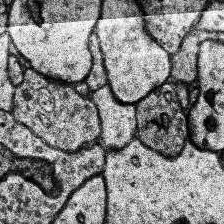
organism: Human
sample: Temporal Lobe